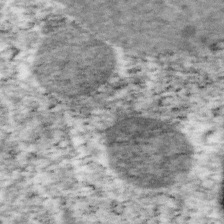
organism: Mouse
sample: OT-I killer T cells with ID8 ovarian cancer cells